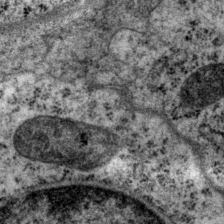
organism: P. pacificus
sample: Pharynx